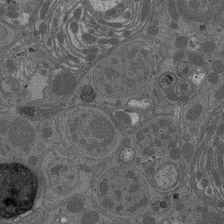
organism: Drosophila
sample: Antenna